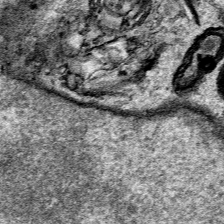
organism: Human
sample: Mitochondria in HCT116 cells